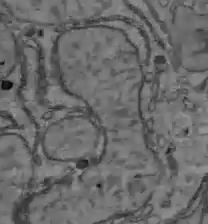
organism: C57BL Mouse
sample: Liver